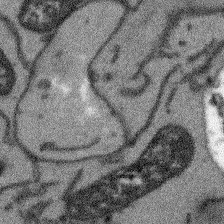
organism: Arabidopsis thaliana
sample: Root tip